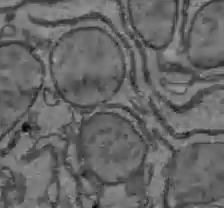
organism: C57BL Mouse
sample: Liver